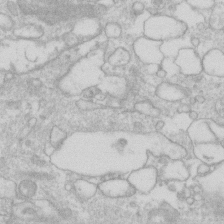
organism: Human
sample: Fibroblast cells